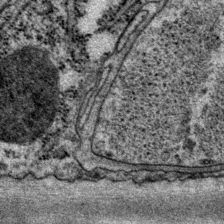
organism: P. pacificus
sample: Pharynx